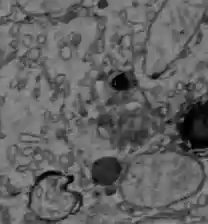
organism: C57BL Mouse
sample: Liver